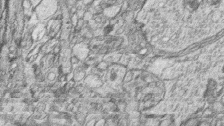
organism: Zebrafish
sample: synaptic ribbons in rod cells and cone cells